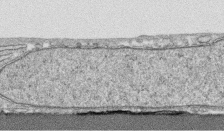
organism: Human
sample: CRL-1474